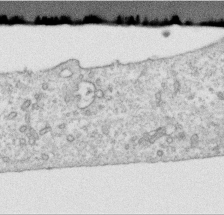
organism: Human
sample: Centriole in RPE cells